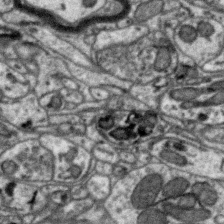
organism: Zebra finch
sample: Brain